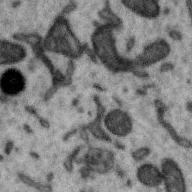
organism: Zebra finch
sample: Brain